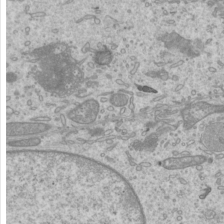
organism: Mouse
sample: Cilia; mouse epididymis